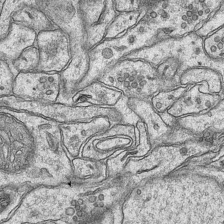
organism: Mouse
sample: CA1 Hippocampus